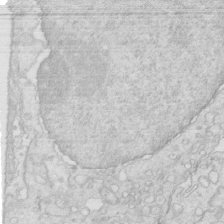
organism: Mouse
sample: Multiciliated cells